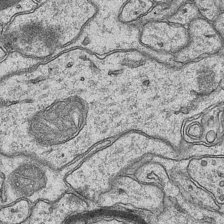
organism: Mouse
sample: CA1 Hippocampus